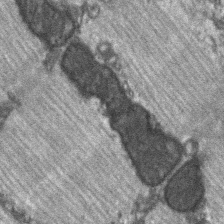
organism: C57BL Mouse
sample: Soleus